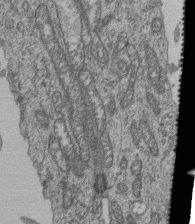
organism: Human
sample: Retinal organoid Rod and Cone cells